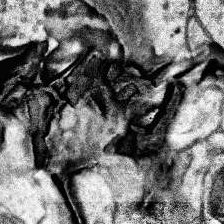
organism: Human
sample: Temporal Lobe